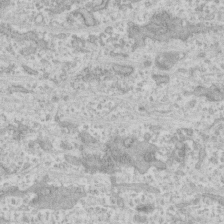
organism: Human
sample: CRL-1474